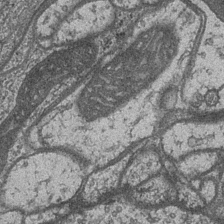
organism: Drosophila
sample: Optic medulla